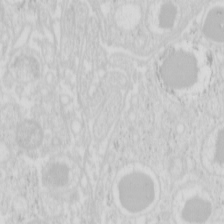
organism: Mouse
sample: Pancreas